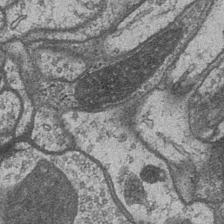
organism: Drosophila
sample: Optic medulla